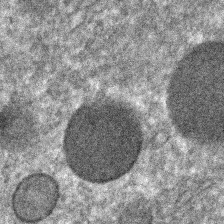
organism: C. elegans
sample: C. elegans embryo